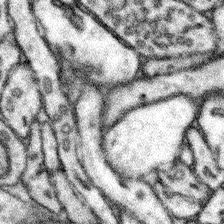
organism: Mouse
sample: Somatosensory cortex neuropil